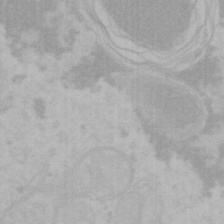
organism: Mouse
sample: Choroid plexus